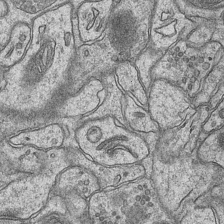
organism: Mouse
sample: CA1 Hippocampus